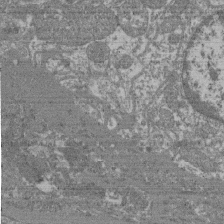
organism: Mouse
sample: Glomerulus